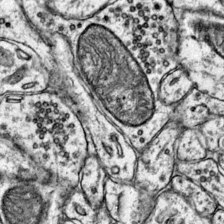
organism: Mouse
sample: Primary visual cortex